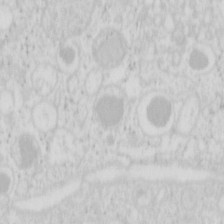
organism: Mouse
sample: Pancreas